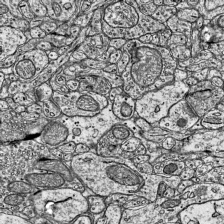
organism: Mouse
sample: Visual Cortex